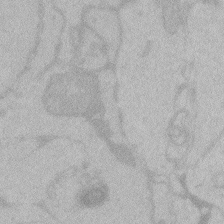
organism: Zebrafish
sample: Macrophage infected with Toxoplasma gondii